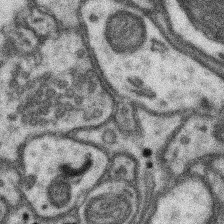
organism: Mouse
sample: Somatosensory cortex neuropil